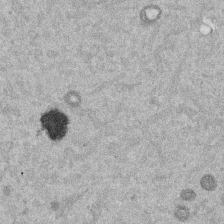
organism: Mouse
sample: Dividing mouse embryo 1 cell stage